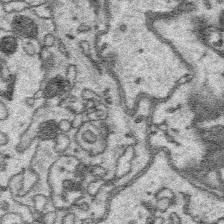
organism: Platynereis dumerilii